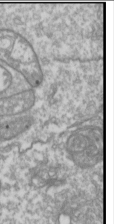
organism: Drosophila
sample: Cell division; meiosis; drosophila spermatocytes